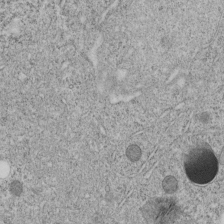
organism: C. elegans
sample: C. elegans embryo early stage